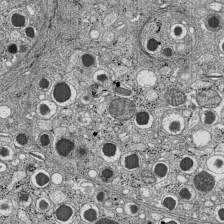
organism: C57BL Mouse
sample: Pancreatic islet